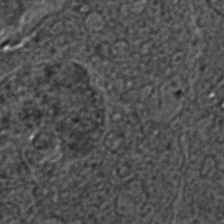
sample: Trachea